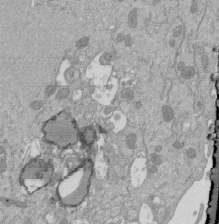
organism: Mouse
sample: ED-1 cell nuclei; centrioles